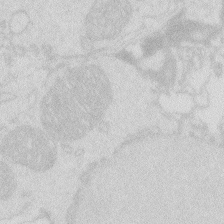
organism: Zebrafish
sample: Macrophage